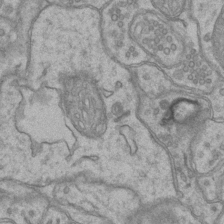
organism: Mouse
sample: CA1 Hippocampus